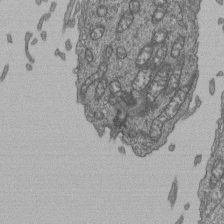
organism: Human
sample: Retinal organoid Rod and Cone cells